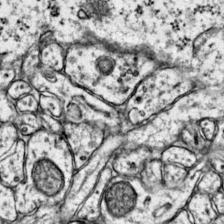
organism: Mouse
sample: Primary visual cortex